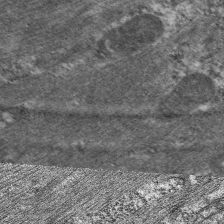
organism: C. elegans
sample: Pharynx